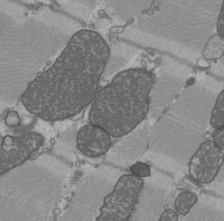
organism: C57BL Mouse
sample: Heart